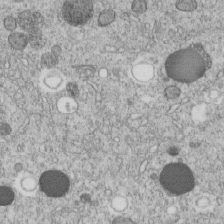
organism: C. elegans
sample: C. elegans embryo early stage